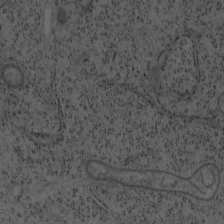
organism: Mouse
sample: OT-I killer T cells with ID8 ovarian cancer cells